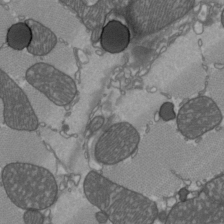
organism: C57BL Mouse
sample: Heart